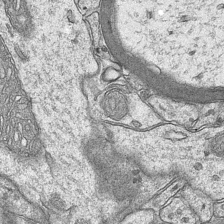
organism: Mouse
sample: CA1 Hippocampus